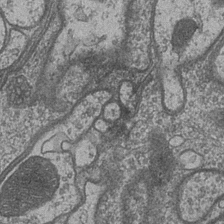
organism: Drosophila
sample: Optic medulla